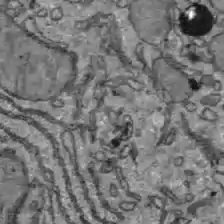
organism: C57BL Mouse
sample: Liver